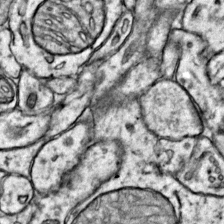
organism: Mouse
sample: Primary visual cortex